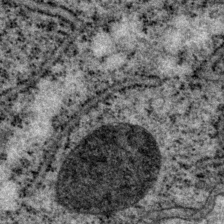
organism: P. pacificus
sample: Pharynx